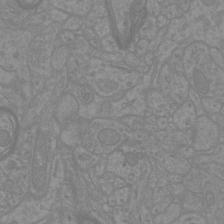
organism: Mouse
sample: Cortical neurons